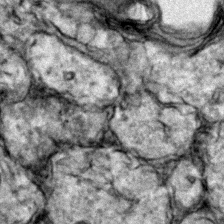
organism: Zebrafish